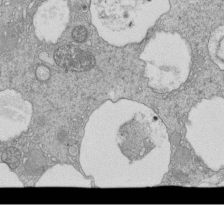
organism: Tetrahymena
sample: Cilia in tetrahymena